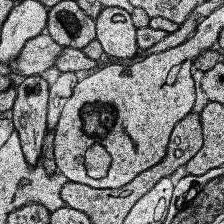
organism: Human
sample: Temporal Lobe